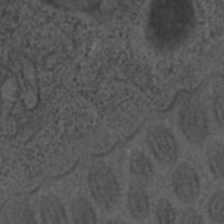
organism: C. elegans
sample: C. elegans embryo